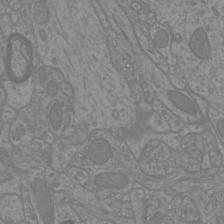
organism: Mouse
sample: Cortical neurons